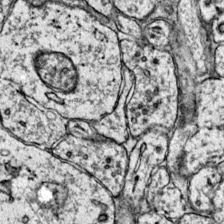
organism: Mouse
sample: Primary visual cortex